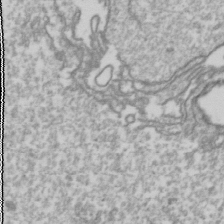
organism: Drosophila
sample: Cell division; meiosis; drosophila spermatocytes